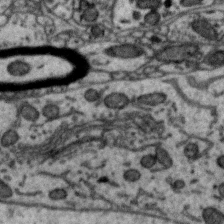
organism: Zebra finch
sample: Brain